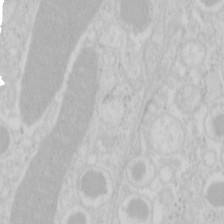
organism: Mouse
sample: Pancreas